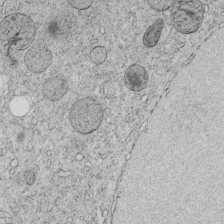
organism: C. elegans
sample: C. elegans embryo early stage